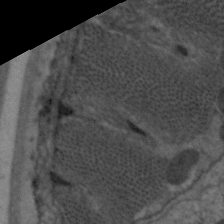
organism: C. elegans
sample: Pharynx